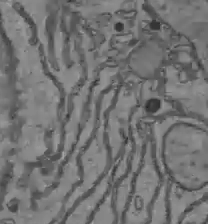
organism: C57BL Mouse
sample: Liver